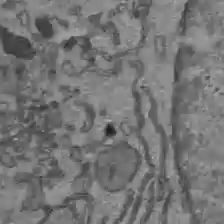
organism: C57BL Mouse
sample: Liver